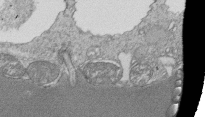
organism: Tetrahymena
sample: Cilia in tetrahymena